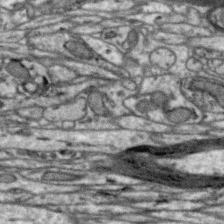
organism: Zebra finch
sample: Brain